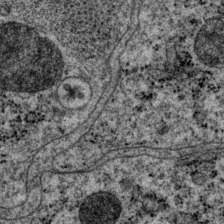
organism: P. pacificus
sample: Pharynx